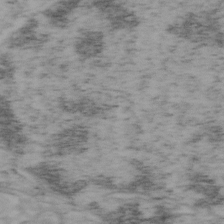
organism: Mouse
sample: OT-I killer T cells with ID8 ovarian cancer cells